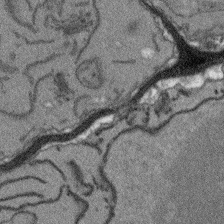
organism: Arabidopsis thaliana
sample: Root tip